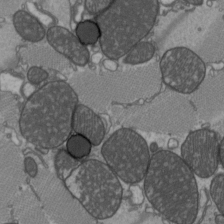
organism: C57BL Mouse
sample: Heart